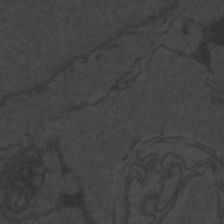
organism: Zebrafish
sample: Macrophage infected with Toxoplasma gondii